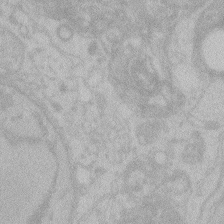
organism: Zebrafish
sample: Macrophage infected with Toxoplasma gondii